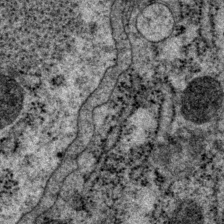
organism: P. pacificus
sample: Pharynx